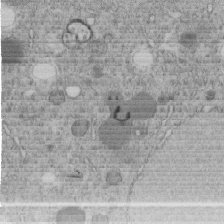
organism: C. elegans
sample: C. elegans embryo early stage